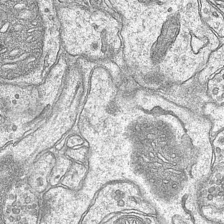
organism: Mouse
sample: CA1 Hippocampus